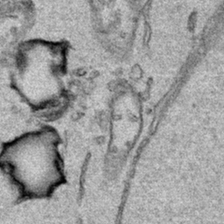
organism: Human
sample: Mitochondria in HCT116 cells